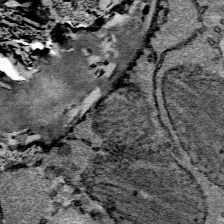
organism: Mouse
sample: Mouse Salivary gland